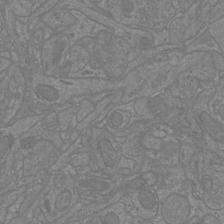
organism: Mouse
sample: Cortical neurons